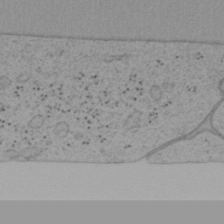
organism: Human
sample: HeLa cells